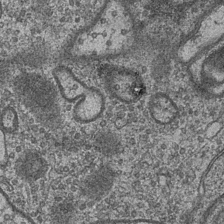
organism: Drosophila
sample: Optic medulla